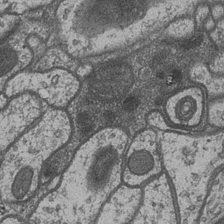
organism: Drosophila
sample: Optic medulla